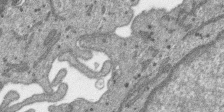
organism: Human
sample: Lung epithelial cells infected with SARS-CoV-2